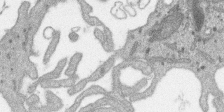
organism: Human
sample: Lung epithelial cells infected with SARS-CoV-2